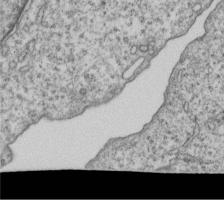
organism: Human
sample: MDA-MB-231 cells